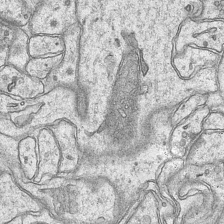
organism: Mouse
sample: CA1 Hippocampus